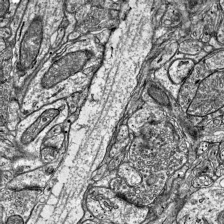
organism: Mouse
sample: Visual Cortex